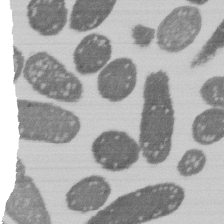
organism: E. coli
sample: Bacterial nucleoid